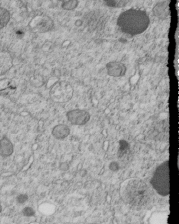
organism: C. elegans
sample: C. elegans embryo early stage